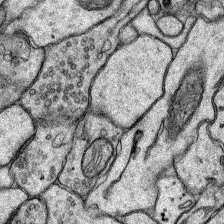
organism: Rat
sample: Hippocampus